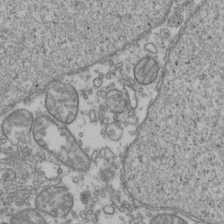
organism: Human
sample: Activated Jurkat CD4+ T cells